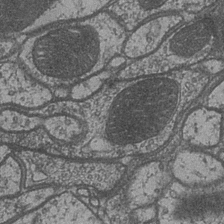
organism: Drosophila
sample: Optic medulla